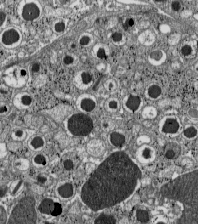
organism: C57BL Mouse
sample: Pancreatic islet